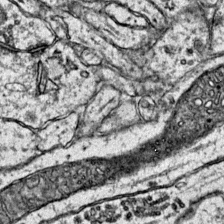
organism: Mouse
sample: Primary visual cortex